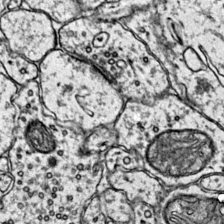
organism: Mouse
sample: Primary visual cortex